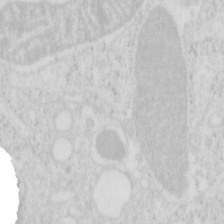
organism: Mouse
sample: Pancreas